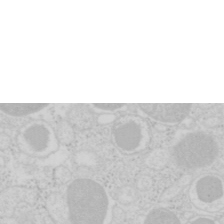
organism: Mouse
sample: Pancreas